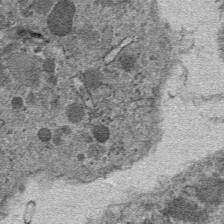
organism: Mouse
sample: Mouse hepatocytes